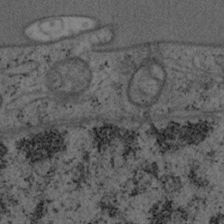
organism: Human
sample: HeLa cells